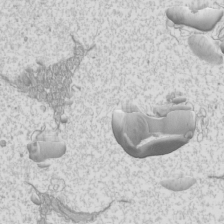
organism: Mouse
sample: Cilia; mouse epididymis